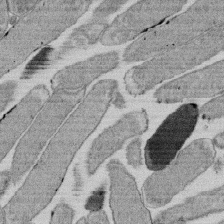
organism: E. coli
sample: Bacterial nucleoid